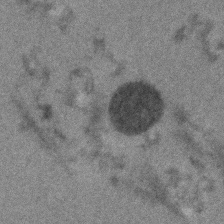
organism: Human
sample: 1205lu cells